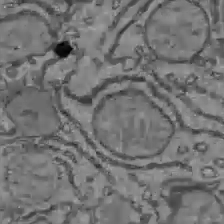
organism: C57BL Mouse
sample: Liver